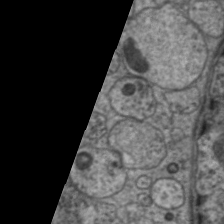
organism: C. elegans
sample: Pharynx